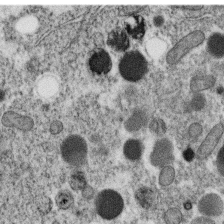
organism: C. elegans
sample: C. elegans oocyte; sperm cells